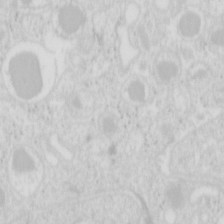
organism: Mouse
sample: Pancreas